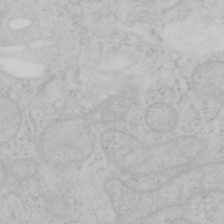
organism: Mouse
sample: OT-I killer T cells with ID8 ovarian cancer cells